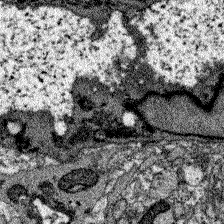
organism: Zebrafish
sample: Larval olfactory bulb